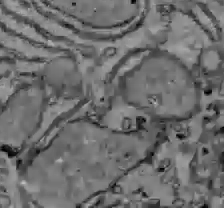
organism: C57BL Mouse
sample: Liver